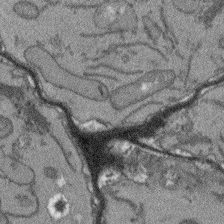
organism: Arabidopsis thaliana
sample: Root tip